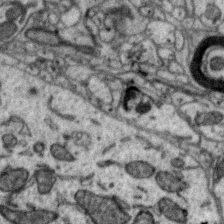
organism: Zebra finch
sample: Brain